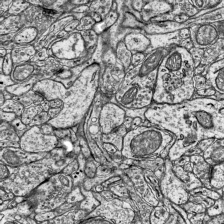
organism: Mouse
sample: Visual Cortex